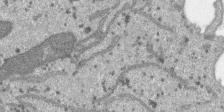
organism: Human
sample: Lung epithelial cells infected with SARS-CoV-2